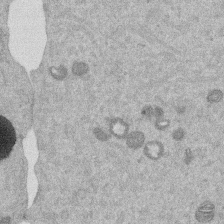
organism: Mouse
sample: Dividing mouse embryo 1 cell stage